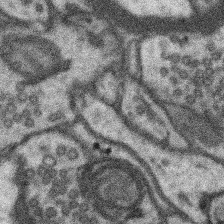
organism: Mouse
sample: Somatosensory cortex neuropil